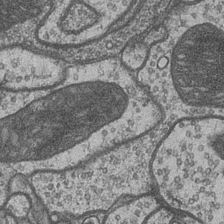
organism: Drosophila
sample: Optic medulla